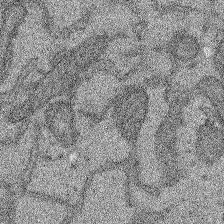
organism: Human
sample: HeLa cells